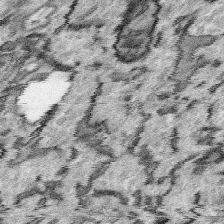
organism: Human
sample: HeLa cells